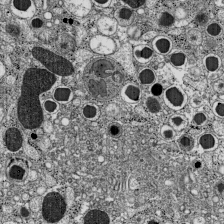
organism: C57BL Mouse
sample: Pancreatic islet